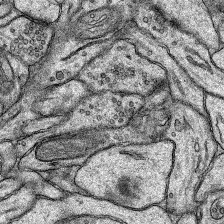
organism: Rat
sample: Hippocampus